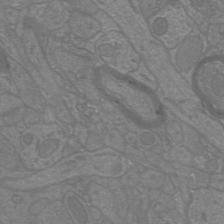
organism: Mouse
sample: Cortical neurons